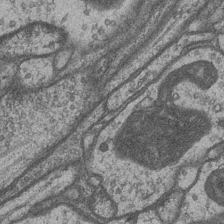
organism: Drosophila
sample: Optic medulla